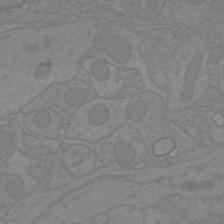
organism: Mouse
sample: Cortical neurons